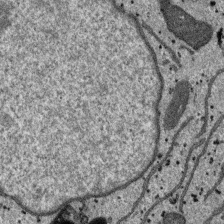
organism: Human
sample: Lung epithelial cells, uninfected (mock) control